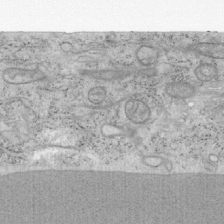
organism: Human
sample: HeLa cells